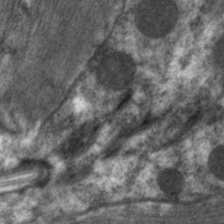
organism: C. elegans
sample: Pharynx